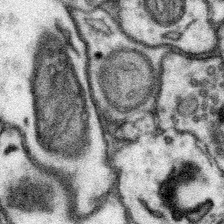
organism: Mouse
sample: Somatosensory cortex neuropil